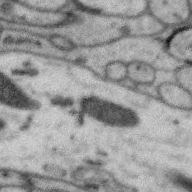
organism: Zebra finch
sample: Brain